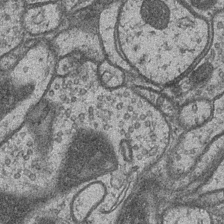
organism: Drosophila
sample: Optic medulla